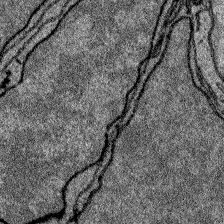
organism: Zebrafish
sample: Larval olfactory bulb